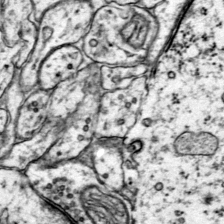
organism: Mouse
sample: Primary visual cortex